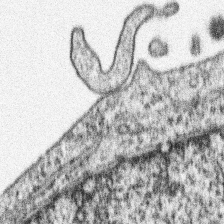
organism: Human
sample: HeLa cells